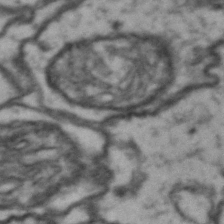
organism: Drosophila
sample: Brain